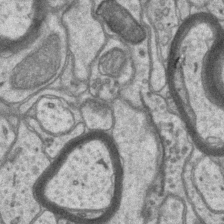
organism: Mouse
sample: CA1 Hippocampus